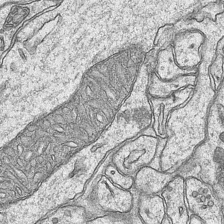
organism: Mouse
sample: CA1 Hippocampus